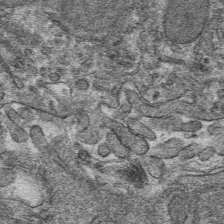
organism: Mouse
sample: Mouse hepatocytes